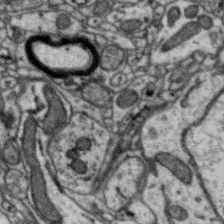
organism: Zebra finch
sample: Brain